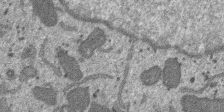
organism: Human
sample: Lung epithelial cells infected with SARS-CoV-2